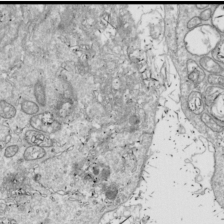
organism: Drosophila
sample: Cell division; meiosis; drosophila spermatocytes